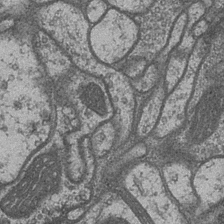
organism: Drosophila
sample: Optic medulla